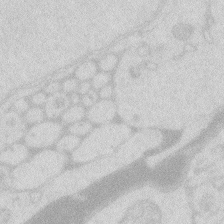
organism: Zebrafish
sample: Macrophage